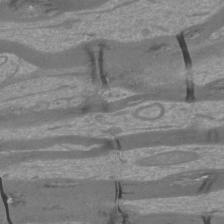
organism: Mouse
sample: Cortical neurons